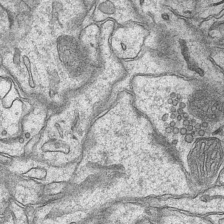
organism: Mouse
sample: CA1 Hippocampus